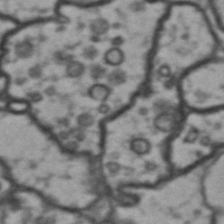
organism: Drosophila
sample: Brain